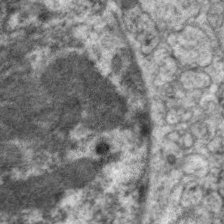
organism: C. elegans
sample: Pharynx